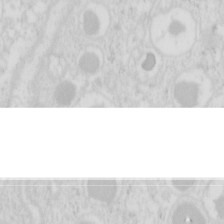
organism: Mouse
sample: Pancreas